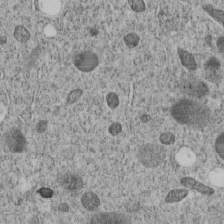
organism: C. elegans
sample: C. elegans embryo early stage